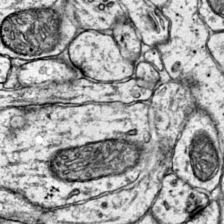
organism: Mouse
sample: Primary visual cortex